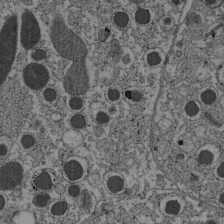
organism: C57BL Mouse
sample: Pancreatic islet